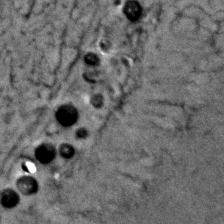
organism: Zebrafish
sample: Zebrafish embryo